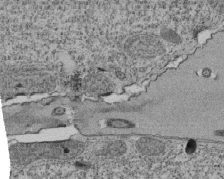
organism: Tetrahymena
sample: Cilia in tetrahymena